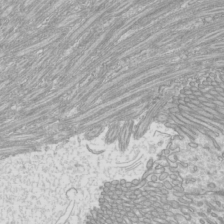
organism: Mouse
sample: Cilia; mouse epididymis